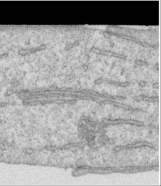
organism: Human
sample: Centriole in RPE cells